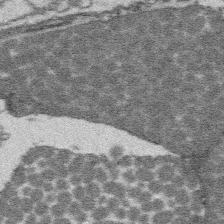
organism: Platynereis dumerilii